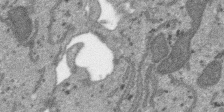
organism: Human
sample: Lung epithelial cells infected with SARS-CoV-2